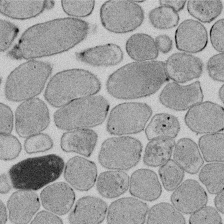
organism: E. coli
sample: Bacterial nucleoid